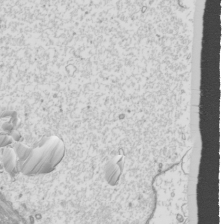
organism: Mouse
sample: Cilia; mouse epididymis